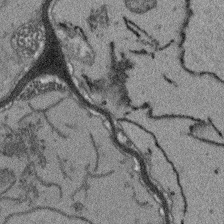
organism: Arabidopsis thaliana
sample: Root tip